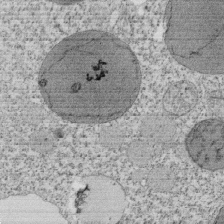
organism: Tetrahymena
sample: Cilia in tetrahymena